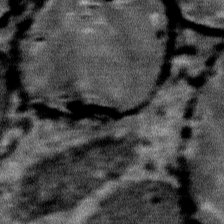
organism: Mouse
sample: Mouse Salivary gland